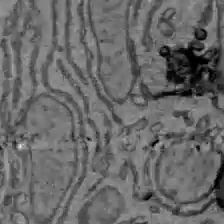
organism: C57BL Mouse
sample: Liver